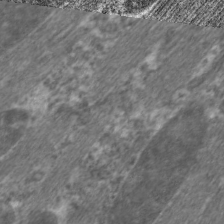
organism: C. elegans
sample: Pharynx